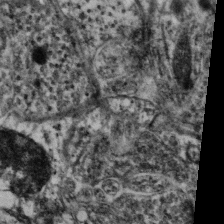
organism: Mouse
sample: Neocortex